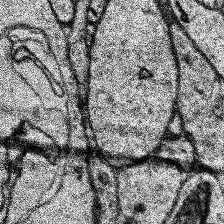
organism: Human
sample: Temporal Lobe